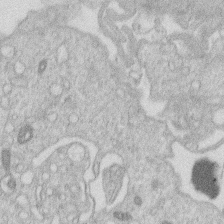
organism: Human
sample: Macrophage cells